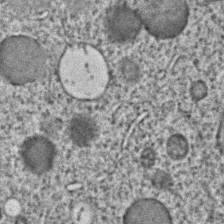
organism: C. elegans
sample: C. elegans embryo